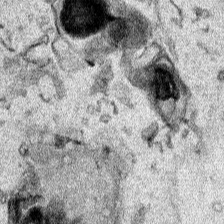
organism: Human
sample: Mitochondria in HCT116 cells